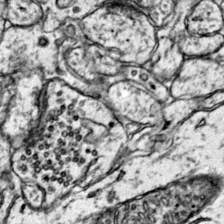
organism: Mouse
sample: Primary visual cortex